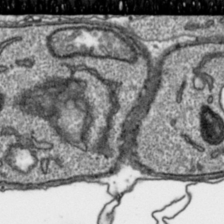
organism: Toxoplasma gondii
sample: Parasites in a vacuole inside a host cell